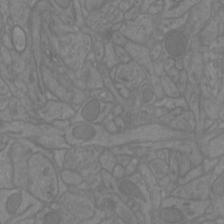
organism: Mouse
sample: Cortical neurons